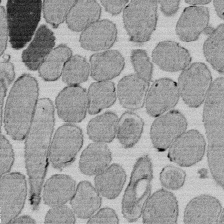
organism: E. coli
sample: Bacterial nucleoid